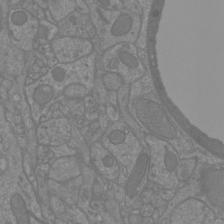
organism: Mouse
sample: Cortical neurons